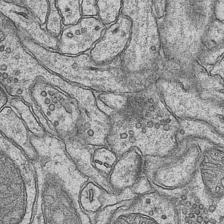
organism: Mouse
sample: CA1 Hippocampus